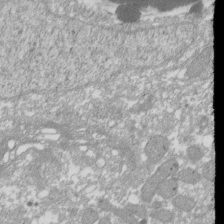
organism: Xenopus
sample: Cilia; centrioles in frog embryo cells